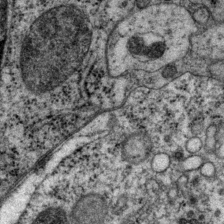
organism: P. pacificus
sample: Pharynx